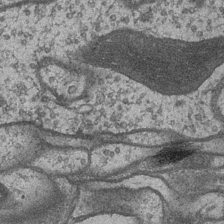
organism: Drosophila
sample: Optic medulla